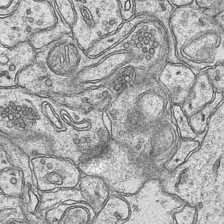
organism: Mouse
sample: CA1 Hippocampus